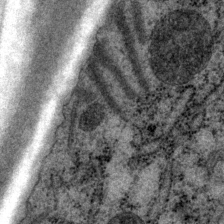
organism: P. pacificus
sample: Pharynx